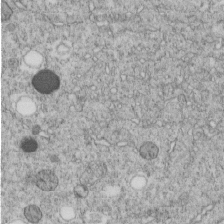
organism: C. elegans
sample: C. elegans embryo early stage